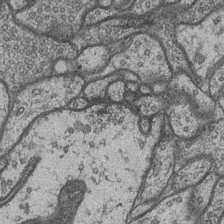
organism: Drosophila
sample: Optic medulla